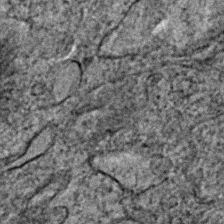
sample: Trachea